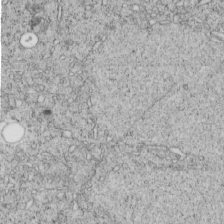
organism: C. elegans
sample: C. elegans embryo early stage